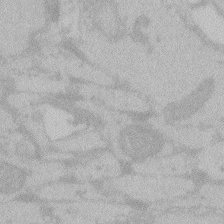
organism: Zebrafish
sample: Macrophage infected with Toxoplasma gondii